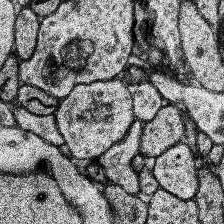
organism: Human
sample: Temporal Lobe